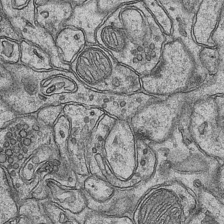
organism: Mouse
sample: CA1 Hippocampus